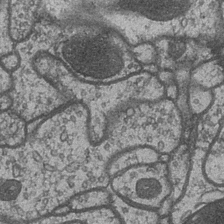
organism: Drosophila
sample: Optic medulla